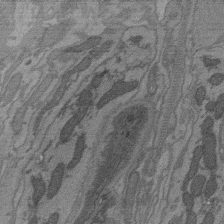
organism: C. elegans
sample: AFD neurons C. elegans